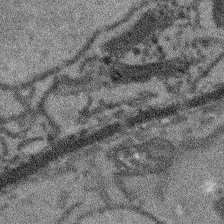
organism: Arabidopsis thaliana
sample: Root tip